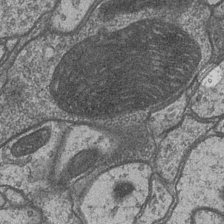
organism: Drosophila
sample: Optic medulla